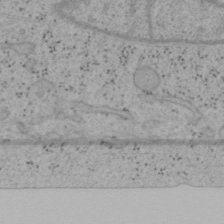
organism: Human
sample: HeLa cells